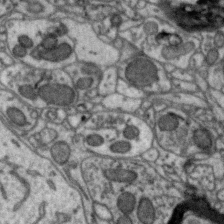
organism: Zebra finch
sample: Brain